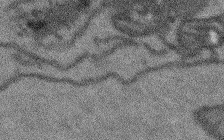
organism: Arabidopsis thaliana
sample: Root tip